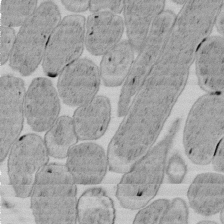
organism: E. coli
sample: Bacterial nucleoid